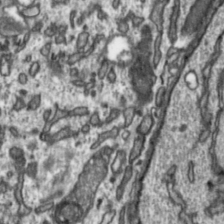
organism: Toxoplasma gondii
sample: Parasites in a vacuole inside a host cell